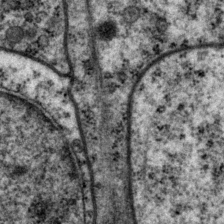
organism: P. pacificus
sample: Pharynx